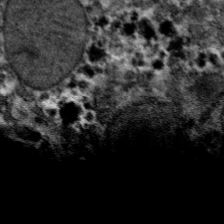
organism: Mouse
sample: Mouse hepatocytes